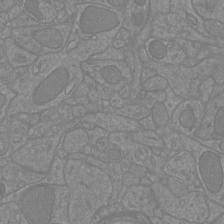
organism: Mouse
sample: Cortical neurons